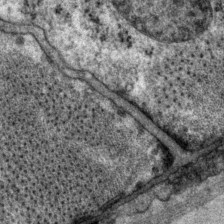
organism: P. pacificus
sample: Pharynx